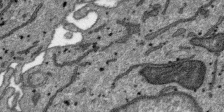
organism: Human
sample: Lung epithelial cells, uninfected (mock) control